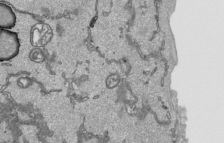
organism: Human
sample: Mitochondria in HCT116 cells